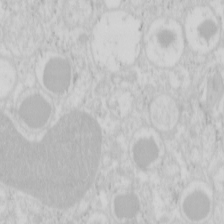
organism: Mouse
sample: Pancreas